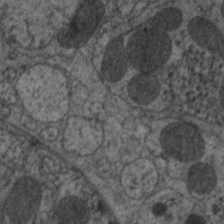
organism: C. elegans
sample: Pharynx